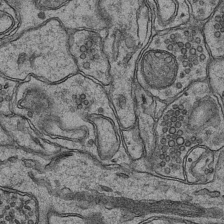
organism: Mouse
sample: CA1 Hippocampus